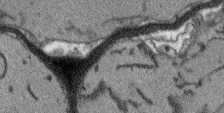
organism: Arabidopsis thaliana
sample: Root tip